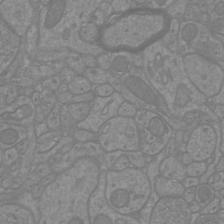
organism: Mouse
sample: Cortical neurons